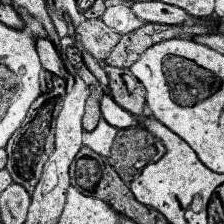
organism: Human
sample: Temporal Lobe